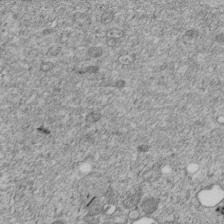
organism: C. elegans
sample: C. elegans embryo early stage